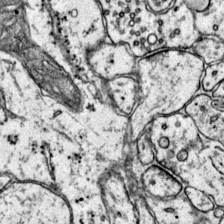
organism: Mouse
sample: Primary visual cortex